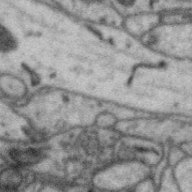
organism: Zebra finch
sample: Brain